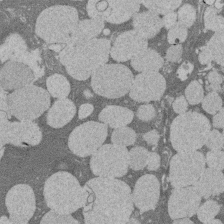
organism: Rat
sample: Salivary granule